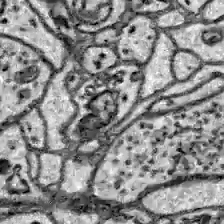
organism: Zebrafish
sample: Brain